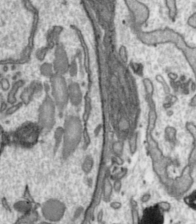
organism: Toxoplasma gondii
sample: Parasites in a vacuole inside a host cell